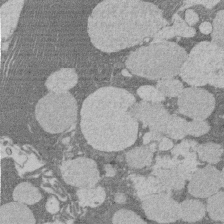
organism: Rat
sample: Salivary granule